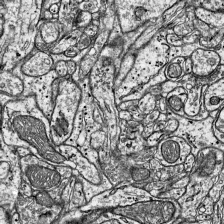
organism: Mouse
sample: Visual Cortex